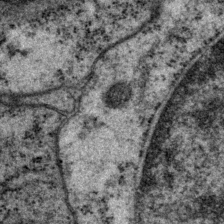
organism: P. pacificus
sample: Pharynx